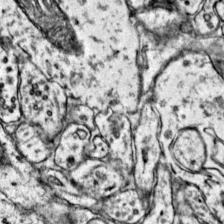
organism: Mouse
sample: Primary visual cortex